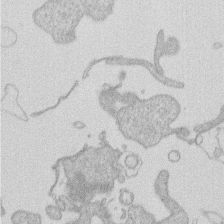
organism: Human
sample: Macrophage cells